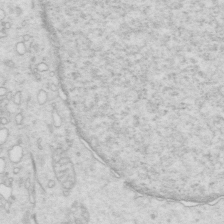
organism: Mouse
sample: Multiciliated cells